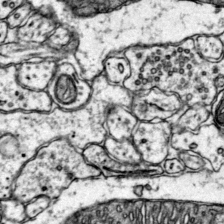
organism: Mouse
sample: Primary visual cortex